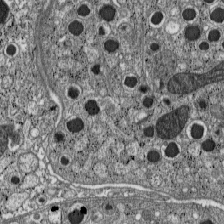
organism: C57BL Mouse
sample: Pancreatic islet